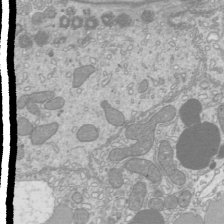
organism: Mouse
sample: Cilia; mouse epididymis